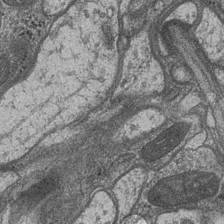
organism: Drosophila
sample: Optic medulla